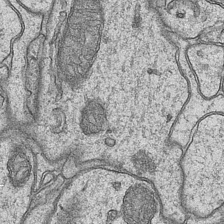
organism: Mouse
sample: CA1 Hippocampus